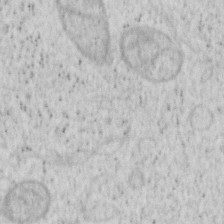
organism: Human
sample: HeLa cells